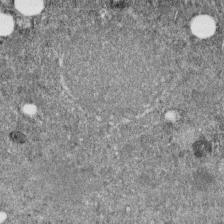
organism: C. elegans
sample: C. elegans embryo early stage